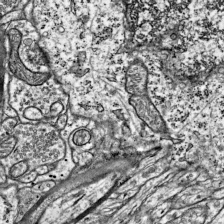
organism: Mouse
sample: Visual Cortex